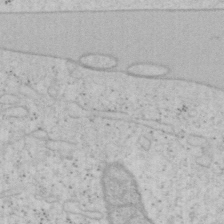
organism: Human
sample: HeLa cells